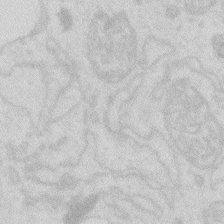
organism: Zebrafish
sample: Macrophage